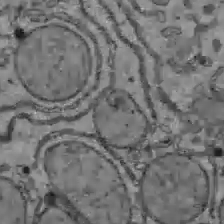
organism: C57BL Mouse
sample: Liver